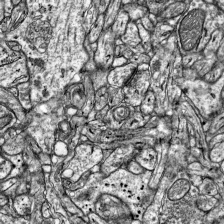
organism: Mouse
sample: Visual Cortex